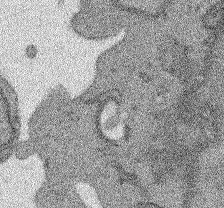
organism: Human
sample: HeLa cells